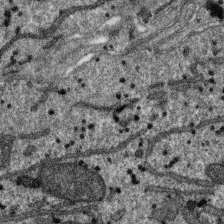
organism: Human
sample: Lung epithelial cells infected with SARS-CoV-2